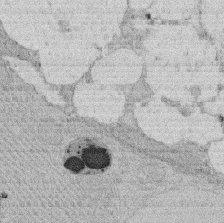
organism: Rat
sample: Salivary granule